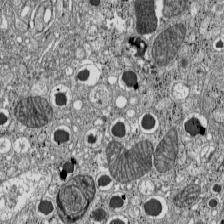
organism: C57BL Mouse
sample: Pancreatic islet